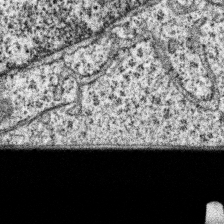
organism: Human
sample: HeLa cells